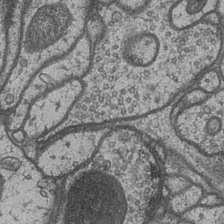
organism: Drosophila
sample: Optic medulla